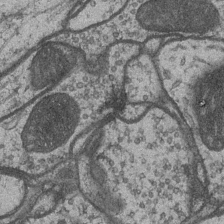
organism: Drosophila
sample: Optic medulla